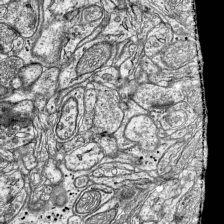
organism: Mouse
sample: Visual Cortex